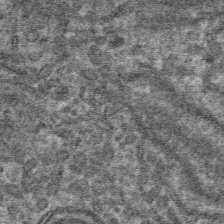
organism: Mouse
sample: Mouse hepatocytes